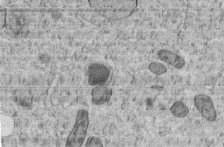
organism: C. elegans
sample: C. elegans embryo early stage